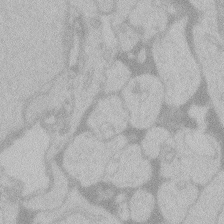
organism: Zebrafish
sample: Macrophage infected with Toxoplasma gondii